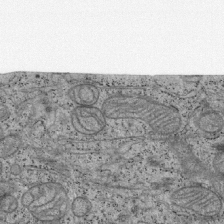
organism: Human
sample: HeLa cells